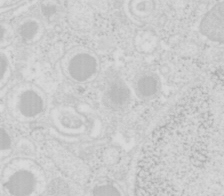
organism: Mouse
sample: Pancreas